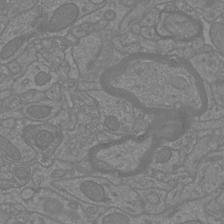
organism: Mouse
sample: Cortical neurons